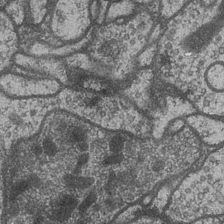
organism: Drosophila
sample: Optic medulla